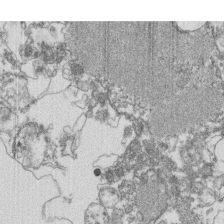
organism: Human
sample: HeLa cell HIV synapse